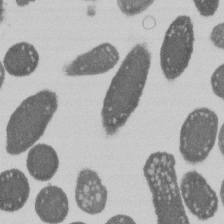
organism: E. coli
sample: Bacterial nucleoid